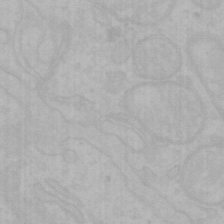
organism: Mouse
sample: Choroid plexus